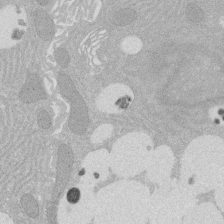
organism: Rat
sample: Salivary granule